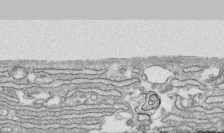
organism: Human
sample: CRL-1474